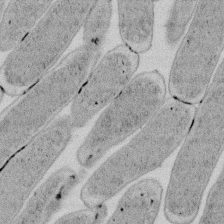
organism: E. coli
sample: Bacterial nucleoid